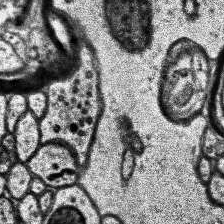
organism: Human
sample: Temporal Lobe